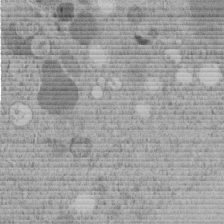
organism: C. elegans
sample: C. elegans embryo early stage